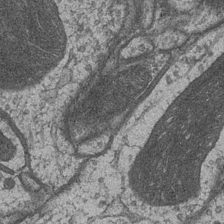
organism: Drosophila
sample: Optic medulla